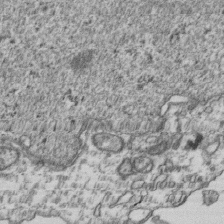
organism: Human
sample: Activated Jurkat CD4+ T cells